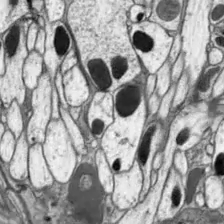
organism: Drosophila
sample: Optic lobe